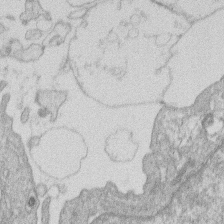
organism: Human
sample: Macrophage cells